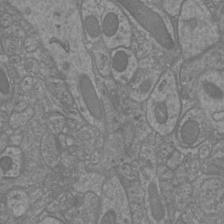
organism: Mouse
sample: Cortical neurons